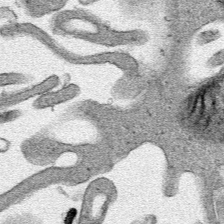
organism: Human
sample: Mitochondria in HCT116 cells